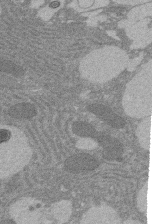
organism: Rat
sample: Salivary granule